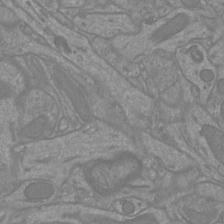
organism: Mouse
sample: Cortical neurons